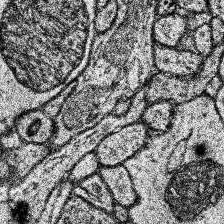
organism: Human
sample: Temporal Lobe